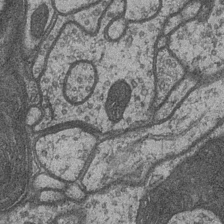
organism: Drosophila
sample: Optic medulla